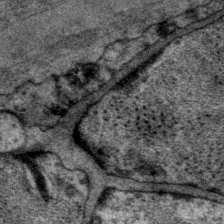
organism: P. pacificus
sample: Pharynx